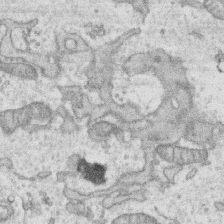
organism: Human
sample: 1205lu cells